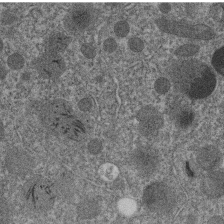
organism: C. elegans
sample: C. elegans embryo early stage